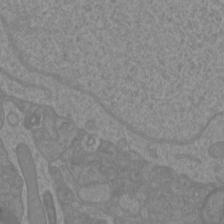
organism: Mouse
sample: Cortical neurons